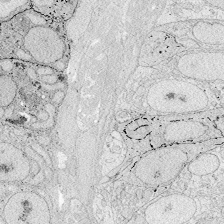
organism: Zebrafish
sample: Whole-Brain